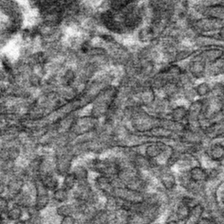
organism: Mouse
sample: Mouse hepatocytes